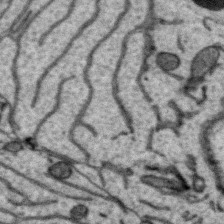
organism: Zebra finch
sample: Brain